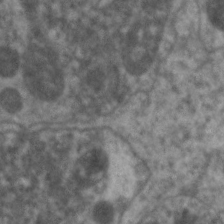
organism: C. elegans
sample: Pharynx